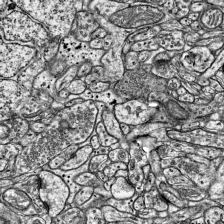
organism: Mouse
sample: Visual Cortex